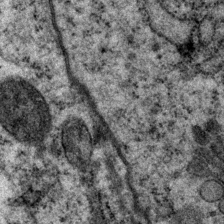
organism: P. pacificus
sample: Pharynx